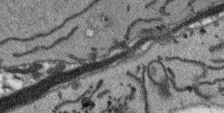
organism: Arabidopsis thaliana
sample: Root tip